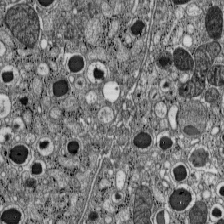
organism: C57BL Mouse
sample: Pancreatic islet